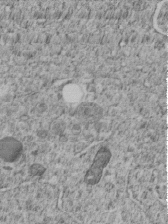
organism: C. elegans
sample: C. elegans embryo early stage